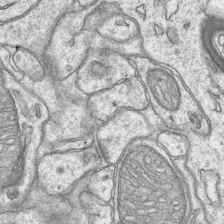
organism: Mouse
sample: CA1 Hippocampus